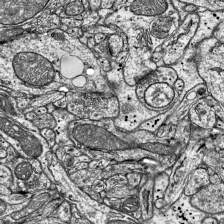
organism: Mouse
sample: Visual Cortex